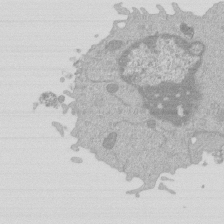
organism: Mouse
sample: Activated Pmel transgenic CD8+ T Cells